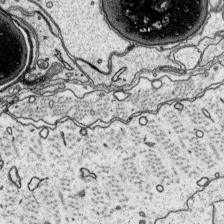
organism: Platynereis dumerilii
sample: Parapodia